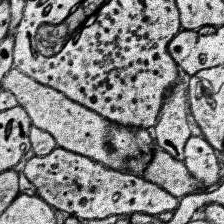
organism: Human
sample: Temporal Lobe